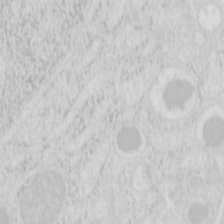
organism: Mouse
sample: Pancreas